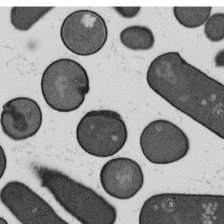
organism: B. subtilis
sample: Bacterial spore